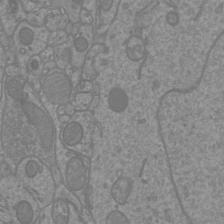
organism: Mouse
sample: Cortical neurons